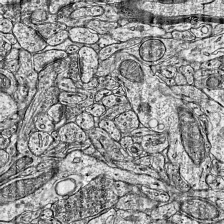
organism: Mouse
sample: Visual Cortex